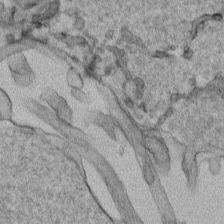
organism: Human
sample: Mitochondria in HCT116 cells